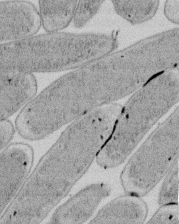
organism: E. coli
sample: Bacterial nucleoid